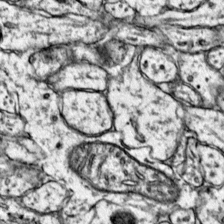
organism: Mouse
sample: Primary visual cortex